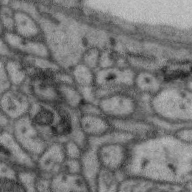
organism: Zebra finch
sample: Brain